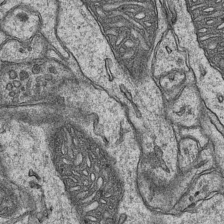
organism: Mouse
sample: CA1 Hippocampus